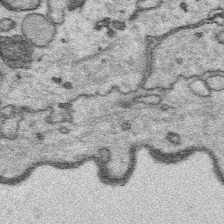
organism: Platynereis dumerilii